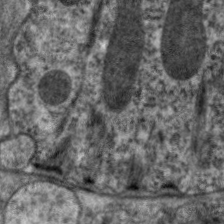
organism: C. elegans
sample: Pharynx